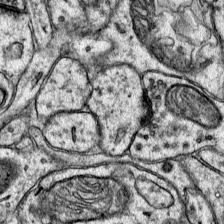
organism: Mouse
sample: Primary visual cortex